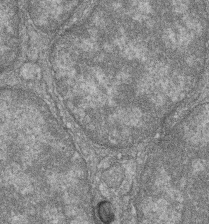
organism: Zebrafish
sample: Cilia; retinal pigment epithelium